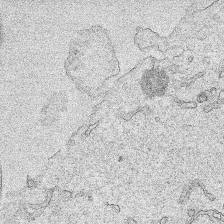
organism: Human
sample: Mitochondria in HCT116 cells